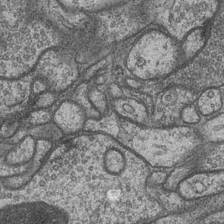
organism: Drosophila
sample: Optic medulla